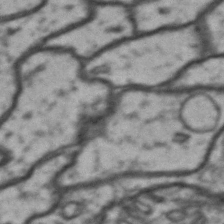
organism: Drosophila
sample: Brain